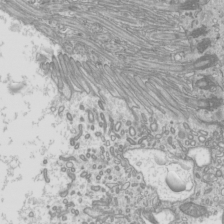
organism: Mouse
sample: Cilia; mouse epididymis